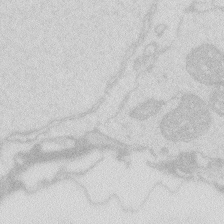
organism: Zebrafish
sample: Macrophage